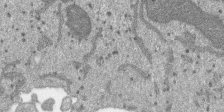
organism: Human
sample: Lung epithelial cells infected with SARS-CoV-2